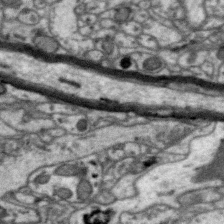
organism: Zebra finch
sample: Brain